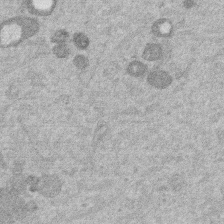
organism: Mouse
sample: Dividing mouse embryo 1 cell stage